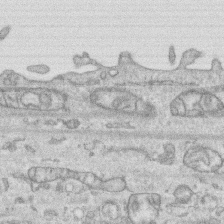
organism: Human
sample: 1205lu cells